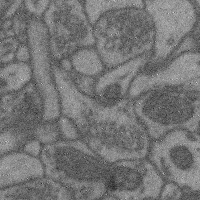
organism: Mouse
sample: Cerebral cortex